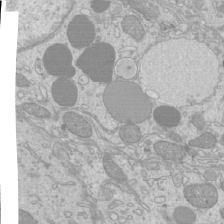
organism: Mouse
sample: Cilia; mouse epididymis